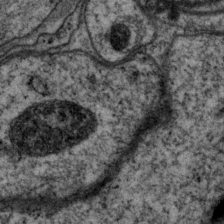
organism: P. pacificus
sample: Pharynx